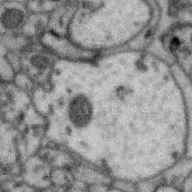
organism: Zebra finch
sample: Brain